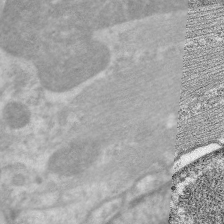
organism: C. elegans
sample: Pharynx